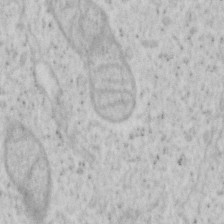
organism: Human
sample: HeLa cells